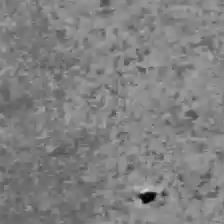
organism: C57BL Mouse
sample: Liver